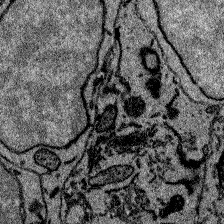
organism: Zebrafish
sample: Larval olfactory bulb